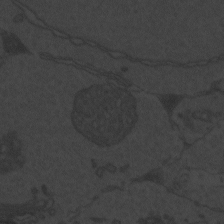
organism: Zebrafish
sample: Macrophage infected with Toxoplasma gondii